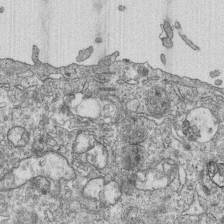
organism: Human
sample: HeLa cell HIV synapse